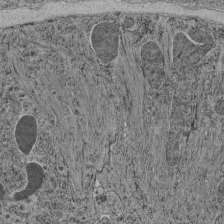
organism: C. elegans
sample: C. elegans pharynx